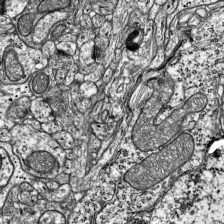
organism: Mouse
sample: Visual Cortex